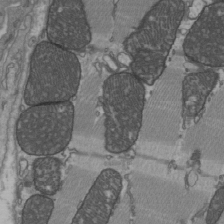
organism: C57BL Mouse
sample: Heart